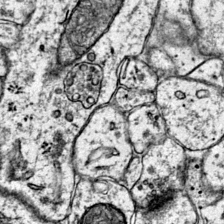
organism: Mouse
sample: Primary visual cortex